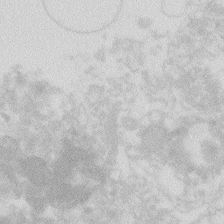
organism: Zebrafish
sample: Macrophage